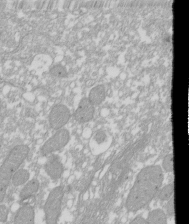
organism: Xenopus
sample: Cilia; centrioles in frog embryo cells